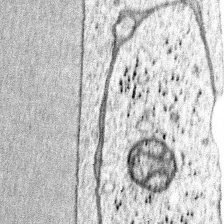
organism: Human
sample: HeLa cells